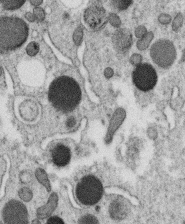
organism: C. elegans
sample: C. elegans oocyte; sperm cells